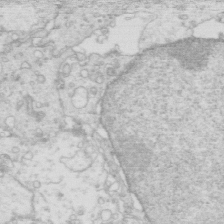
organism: Mouse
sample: Multiciliated cells